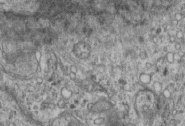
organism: Mouse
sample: Centriole in ependymal cells